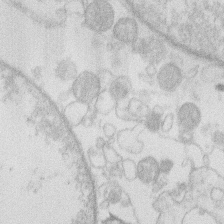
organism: Human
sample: Macrophage cells